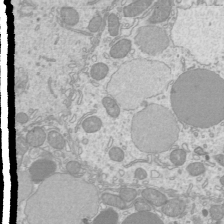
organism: Mouse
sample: Cilia; mouse epididymis